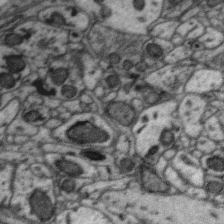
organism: Zebra finch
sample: Brain